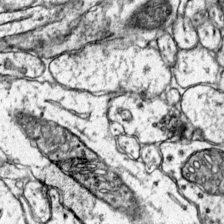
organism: Mouse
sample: Primary visual cortex